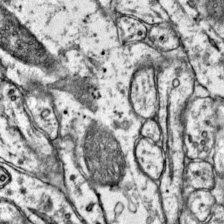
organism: Mouse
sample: Primary visual cortex